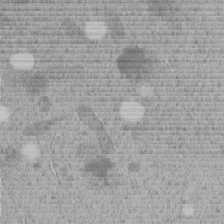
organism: C. elegans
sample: C. elegans embryo early stage